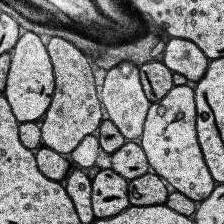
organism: Human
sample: Temporal Lobe